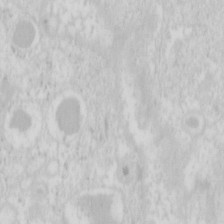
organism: Mouse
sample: Pancreas